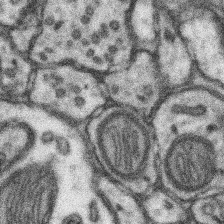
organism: Mouse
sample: Somatosensory cortex neuropil